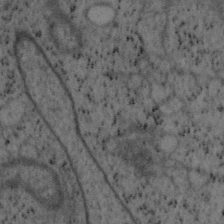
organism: Human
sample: HeLa cells